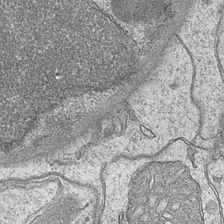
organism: Mouse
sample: CA1 Hippocampus